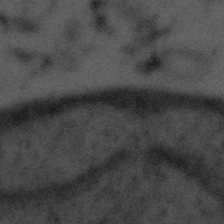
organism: Tuwongella immobilis